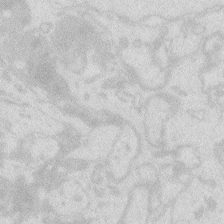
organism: Zebrafish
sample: Macrophage